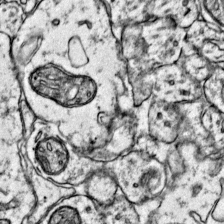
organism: Mouse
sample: Primary visual cortex